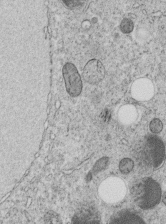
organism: C. elegans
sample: C. elegans embryo early stage